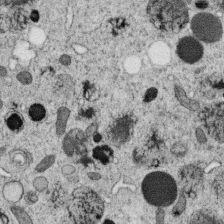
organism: C. elegans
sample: C. elegans oocyte; sperm cells